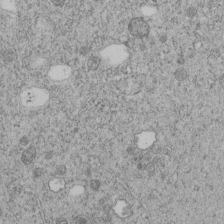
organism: C. elegans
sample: C. elegans embryo early stage